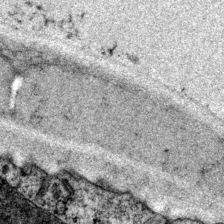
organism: P. pacificus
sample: Pharynx